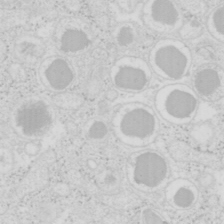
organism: Mouse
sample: Pancreas